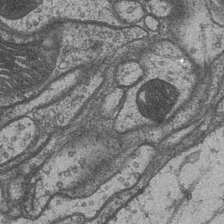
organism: Drosophila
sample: Optic medulla